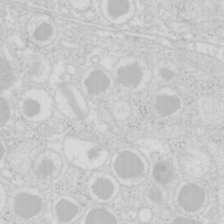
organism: Mouse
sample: Pancreas